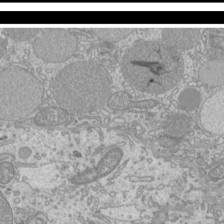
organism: Mouse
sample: Cilia; mouse epididymis